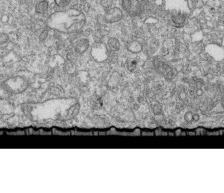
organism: Human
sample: HeLa cell HIV synapse